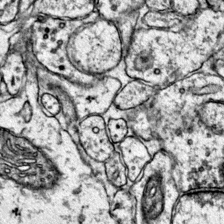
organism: Mouse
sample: Primary visual cortex